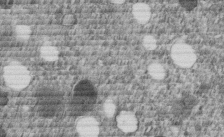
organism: C. elegans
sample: C. elegans embryo early stage